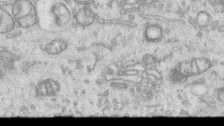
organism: Human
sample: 1205lu cells